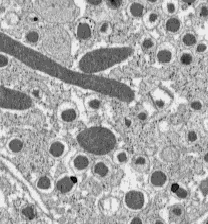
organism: C57BL Mouse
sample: Pancreatic islet